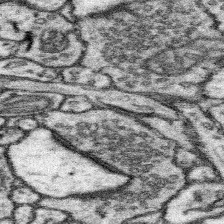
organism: Mouse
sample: Somatosensory cortex neuropil